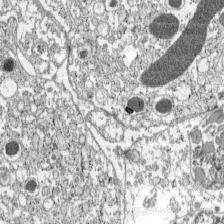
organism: C57BL Mouse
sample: Pancreatic islet